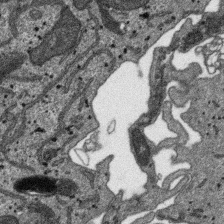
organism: Human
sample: Lung epithelial cells infected with SARS-CoV-2